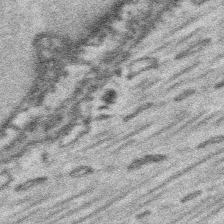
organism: Platynereis dumerilii